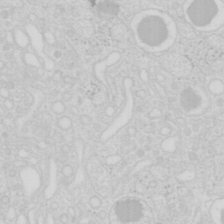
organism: Mouse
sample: Pancreas